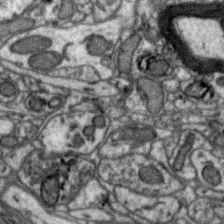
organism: Zebra finch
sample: Brain